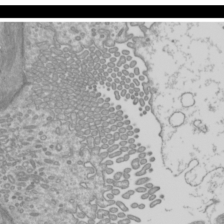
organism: Mouse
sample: Cilia; mouse epididymis